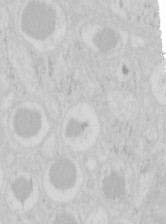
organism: Mouse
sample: Pancreas